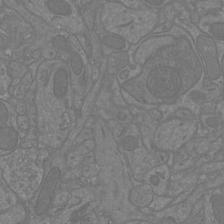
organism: Mouse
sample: Cortical neurons